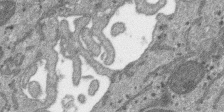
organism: Human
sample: Lung epithelial cells infected with SARS-CoV-2